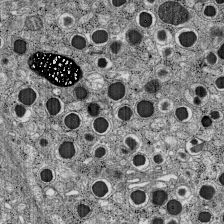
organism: C57BL Mouse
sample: Pancreatic islet